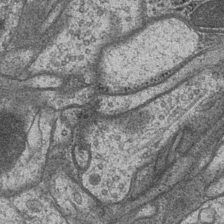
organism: Drosophila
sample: Optic medulla